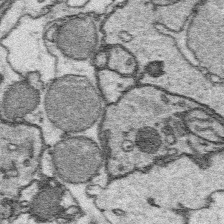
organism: Platynereis dumerilii